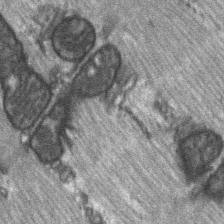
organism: C57BL Mouse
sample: Soleus